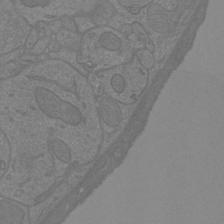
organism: Mouse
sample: Cortical neurons